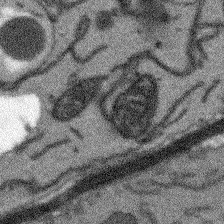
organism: Arabidopsis thaliana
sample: Root tip